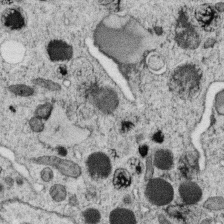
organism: C. elegans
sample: C. elegans oocyte; sperm cells